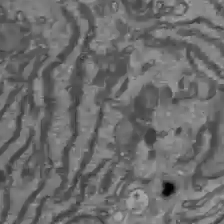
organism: C57BL Mouse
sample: Liver